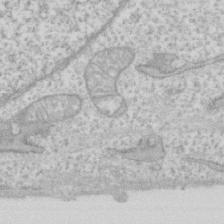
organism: Human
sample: Fibroblast cells